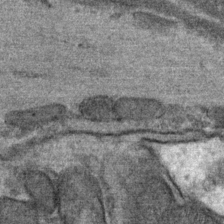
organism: Mouse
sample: Mouse Salivary gland